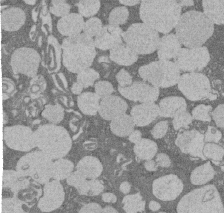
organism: Rat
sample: Salivary granule